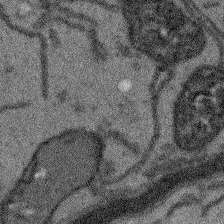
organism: Arabidopsis thaliana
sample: Root tip